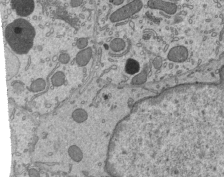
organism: Mouse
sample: Mouse epididymis efferent ductule cilia